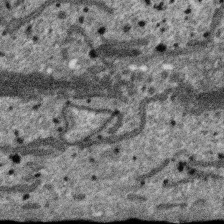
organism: Human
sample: Lung epithelial cells infected with SARS-CoV-2